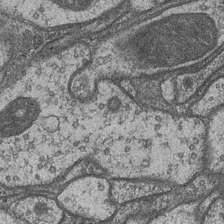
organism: Drosophila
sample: Optic medulla